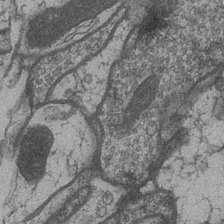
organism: Drosophila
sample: Optic medulla